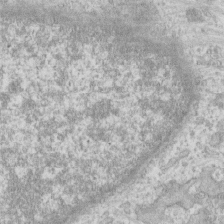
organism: Human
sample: CRL-1474